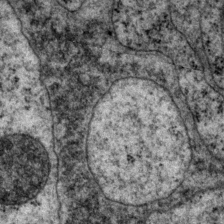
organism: P. pacificus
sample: Pharynx